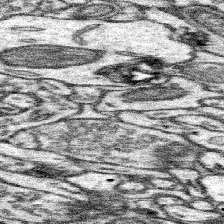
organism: Mouse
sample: Somatosensory cortex neuropil